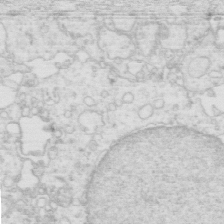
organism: Mouse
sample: Multiciliated cells